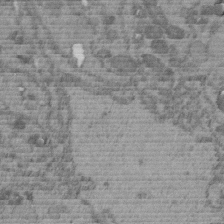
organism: C. elegans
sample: C. elegans embryo early stage